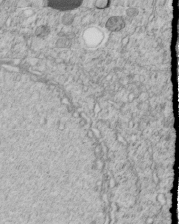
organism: C. elegans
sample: C. elegans embryo early stage